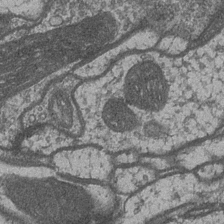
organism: Drosophila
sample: Optic medulla